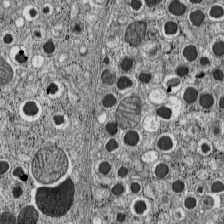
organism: C57BL Mouse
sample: Pancreatic islet